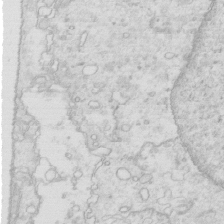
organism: Mouse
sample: Multiciliated cells